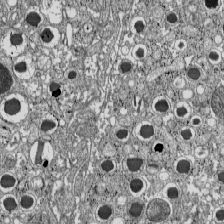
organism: C57BL Mouse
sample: Pancreatic islet